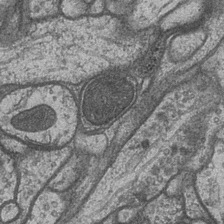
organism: Drosophila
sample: Optic medulla